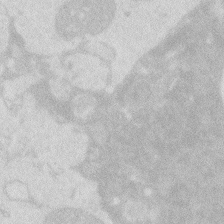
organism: Zebrafish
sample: Macrophage